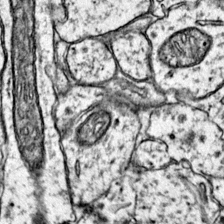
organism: Mouse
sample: Primary visual cortex